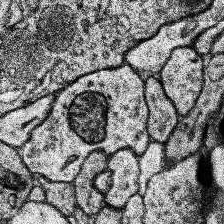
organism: Human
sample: Temporal Lobe